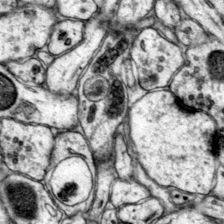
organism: Mouse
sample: Primary visual cortex